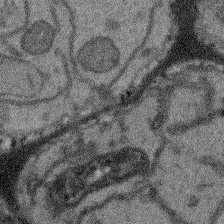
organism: Arabidopsis thaliana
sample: Root tip